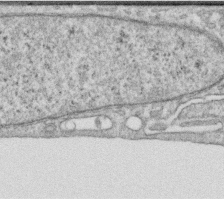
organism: Human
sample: Centriole in RPE cells